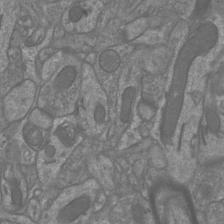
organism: Mouse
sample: Cortical neurons